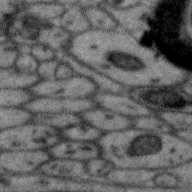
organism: Zebra finch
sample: Brain